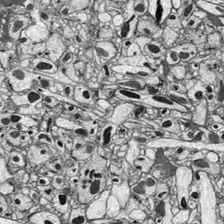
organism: Drosophila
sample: Optic lobe